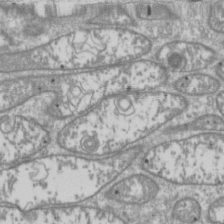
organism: Drosophila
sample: Cell division; meiosis; drosophila spermatocytes